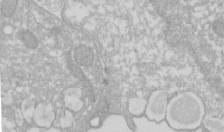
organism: Xenopus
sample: Cilia; centrioles in frog embryo cells